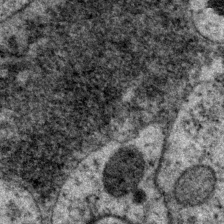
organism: P. pacificus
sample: Pharynx